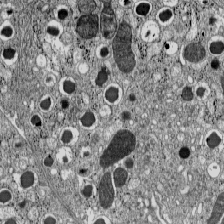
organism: C57BL Mouse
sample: Pancreatic islet